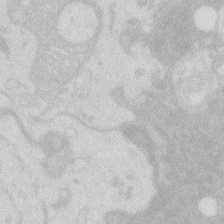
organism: Zebrafish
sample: Macrophage